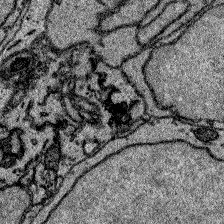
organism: Zebrafish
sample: Larval olfactory bulb